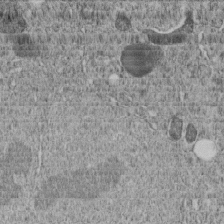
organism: C. elegans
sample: C. elegans embryo early stage